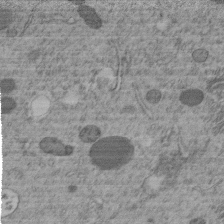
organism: C. elegans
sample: C. elegans embryo early stage